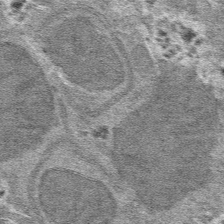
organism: Mouse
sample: Mouse hepatocytes